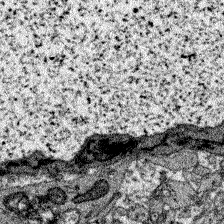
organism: Zebrafish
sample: Larval olfactory bulb